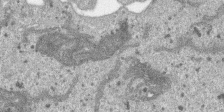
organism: Human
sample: Lung epithelial cells infected with SARS-CoV-2